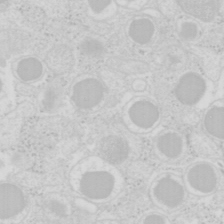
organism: Mouse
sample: Pancreas